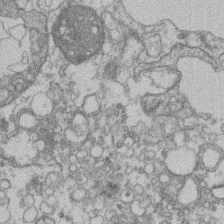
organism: Mouse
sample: T cell stromal cell synapse